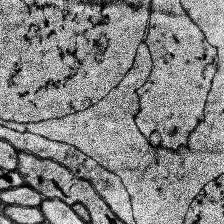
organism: Human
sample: Temporal Lobe